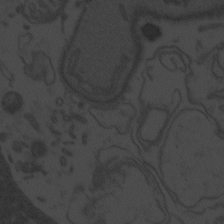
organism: Zebrafish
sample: Macrophage infected with Toxoplasma gondii